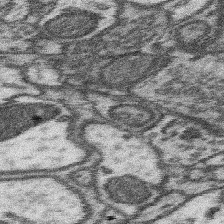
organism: Mouse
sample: Somatosensory cortex neuropil